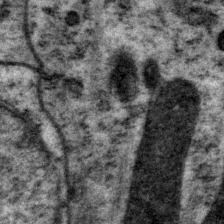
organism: P. pacificus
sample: Pharynx